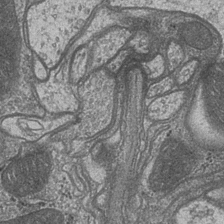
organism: Drosophila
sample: Optic medulla